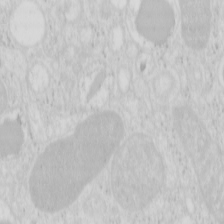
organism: Mouse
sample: Pancreas